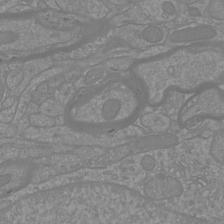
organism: Mouse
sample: Cortical neurons